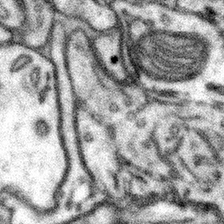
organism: Mouse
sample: Somatosensory cortex neuropil